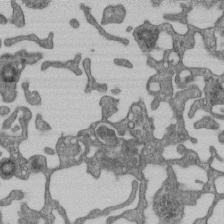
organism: Mouse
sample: Centriole in ependymal cells